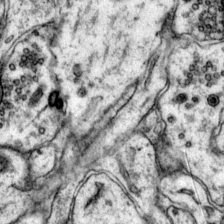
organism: Mouse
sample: Primary visual cortex